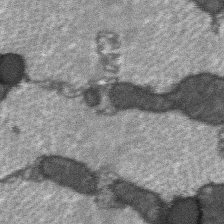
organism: C57BL Mouse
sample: Soleus